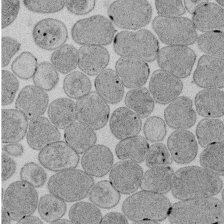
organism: E. coli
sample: Bacterial nucleoid